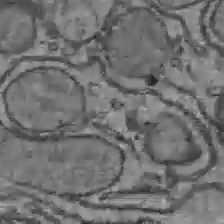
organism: C57BL Mouse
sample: Liver